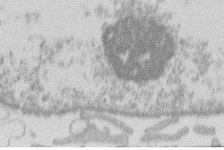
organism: Human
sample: Macrophage cells